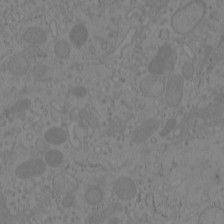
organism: Human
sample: HeLa cells